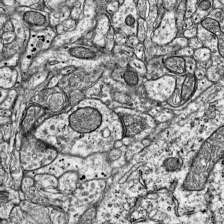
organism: Mouse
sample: Visual Cortex